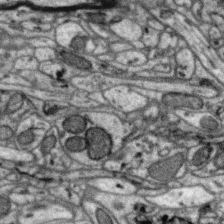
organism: Zebra finch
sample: Brain